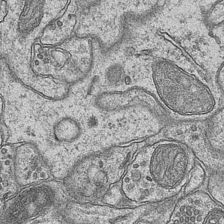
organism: Mouse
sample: CA1 Hippocampus